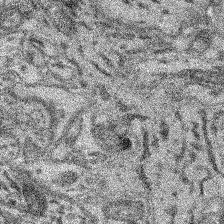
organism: Mouse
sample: Retina